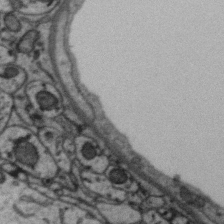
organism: Zebra finch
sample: Brain